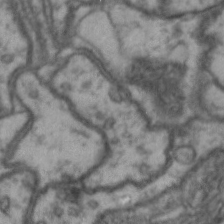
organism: Drosophila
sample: Brain